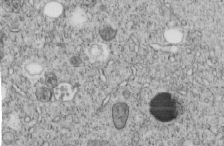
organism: C. elegans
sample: C. elegans embryo early stage